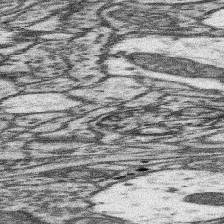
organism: Mouse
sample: Somatosensory cortex neuropil